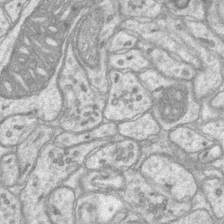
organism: Mouse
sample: CA1 Hippocampus